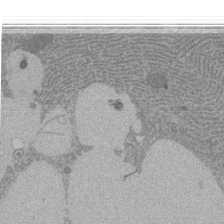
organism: Rat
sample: Salivary granule